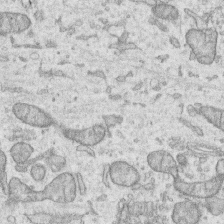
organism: Human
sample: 1205lu cells